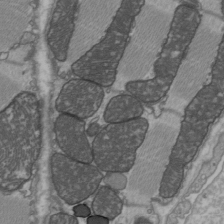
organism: C57BL Mouse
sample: Heart